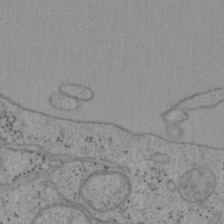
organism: Human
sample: HeLa cells